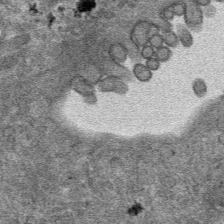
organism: Mouse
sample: Mouse hepatocytes